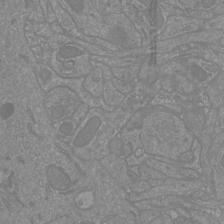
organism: Mouse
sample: Cortical neurons